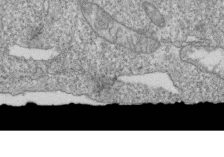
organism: Human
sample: HeLa cell HIV synapse